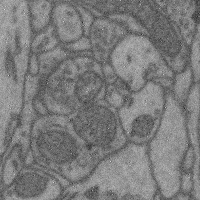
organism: Mouse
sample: Cerebral cortex